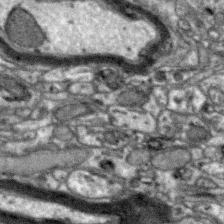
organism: Zebra finch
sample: Brain